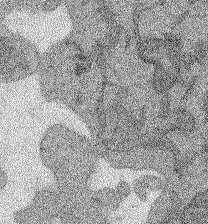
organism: Human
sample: HeLa cells